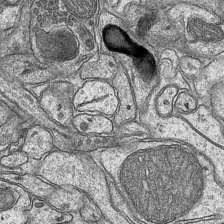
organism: Mouse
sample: CA1 Hippocampus